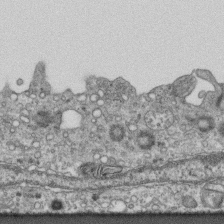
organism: Mouse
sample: Centriole in ependymal cells